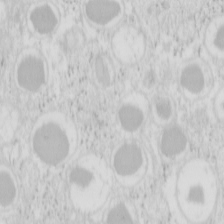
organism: Mouse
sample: Pancreas